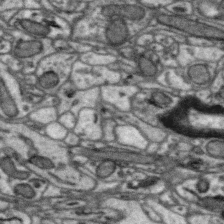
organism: Zebra finch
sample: Brain